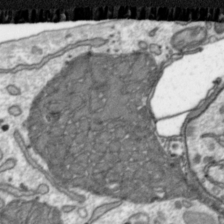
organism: Toxoplasma gondii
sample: Parasites in a vacuole inside a host cell